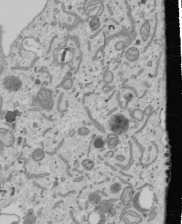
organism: Human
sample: Mitochondria in U2OS cells